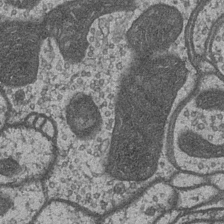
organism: Drosophila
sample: Optic medulla